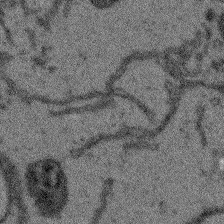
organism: Arabidopsis thaliana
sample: Root tip